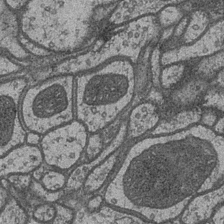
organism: Drosophila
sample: Optic medulla